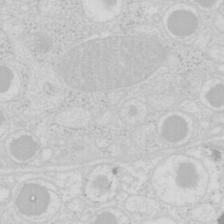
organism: Mouse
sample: Pancreas